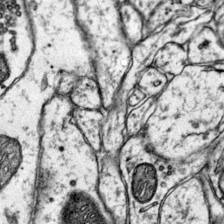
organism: Mouse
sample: Primary visual cortex